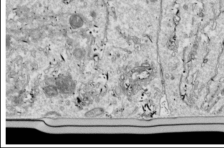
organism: Drosophila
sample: Cell division; meiosis; drosophila spermatocytes